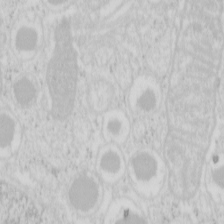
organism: Mouse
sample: Pancreas